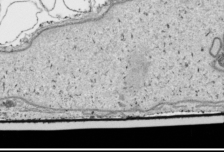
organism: Human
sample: Mitochondria in HCT116 cells